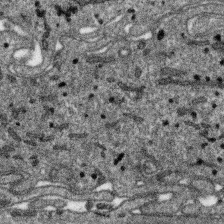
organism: Human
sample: Lung epithelial cells infected with SARS-CoV-2